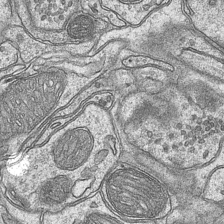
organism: Mouse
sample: CA1 Hippocampus